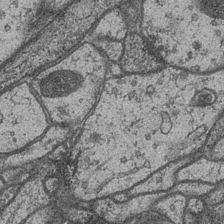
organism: Drosophila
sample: Optic medulla